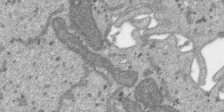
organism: Human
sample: Lung epithelial cells infected with SARS-CoV-2